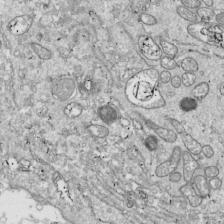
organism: Drosophila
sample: Cell division; meiosis; drosophila spermatocytes